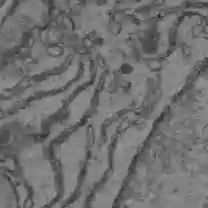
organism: C57BL Mouse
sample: Liver